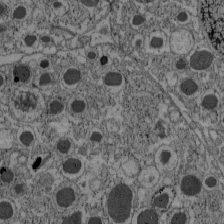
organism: C57BL Mouse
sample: Pancreatic islet